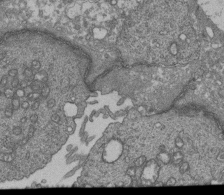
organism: Human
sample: Retinal organoid Rod and Cone cells